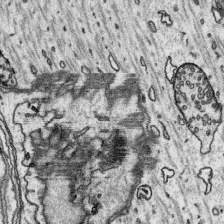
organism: Platynereis dumerilii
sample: Parapodia